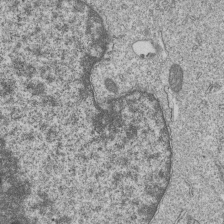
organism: Human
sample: MDA-MB-231 cells